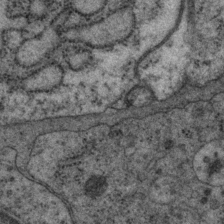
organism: P. pacificus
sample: Pharynx